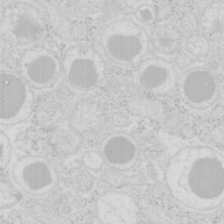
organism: Mouse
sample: Pancreas